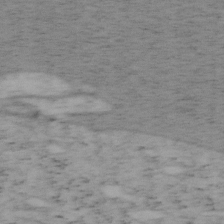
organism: Mouse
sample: OT-I killer T cells with ID8 ovarian cancer cells